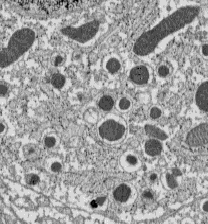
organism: C57BL Mouse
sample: Pancreatic islet